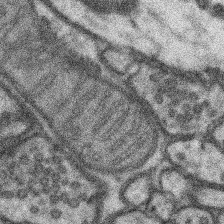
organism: Mouse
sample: Somatosensory cortex neuropil